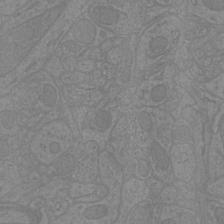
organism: Mouse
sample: Cortical neurons